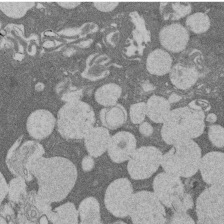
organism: Rat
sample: Salivary granule